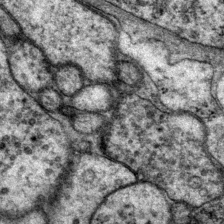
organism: P. pacificus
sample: Pharynx